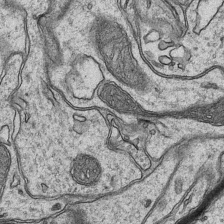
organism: Mouse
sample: CA1 Hippocampus